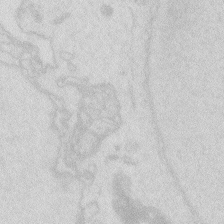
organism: Zebrafish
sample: Macrophage